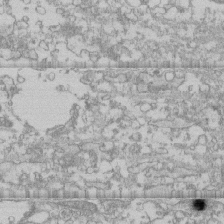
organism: Human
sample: CRL-1474